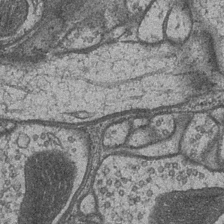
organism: Drosophila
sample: Optic medulla